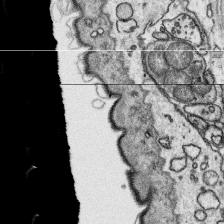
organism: Platynereis dumerilii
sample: Parapodia